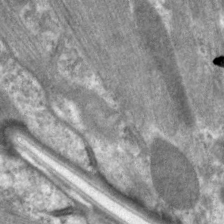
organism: C. elegans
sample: Pharynx